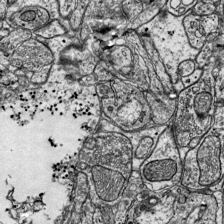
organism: Mouse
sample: Visual Cortex